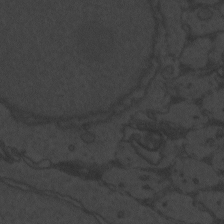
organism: Zebrafish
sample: Macrophage infected with Toxoplasma gondii